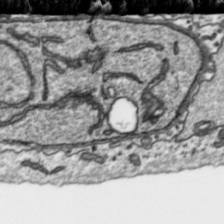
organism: Toxoplasma gondii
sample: Parasites in a vacuole inside a host cell